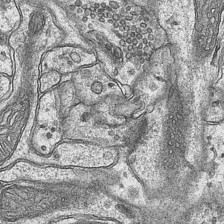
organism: Mouse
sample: CA1 Hippocampus